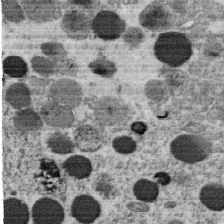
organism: C. elegans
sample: C. elegans oocyte; sperm cells